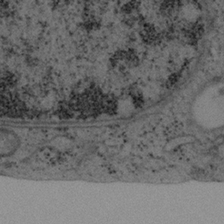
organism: Human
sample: HeLa cells